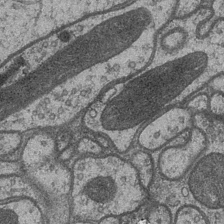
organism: Drosophila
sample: Optic medulla